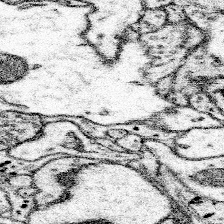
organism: Mouse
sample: Somatosensory cortex neuropil